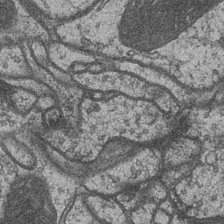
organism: Drosophila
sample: Optic medulla